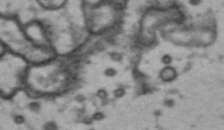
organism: Drosophila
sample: Brain